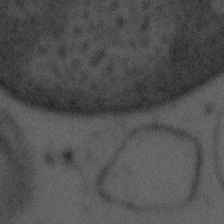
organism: Tuwongella immobilis